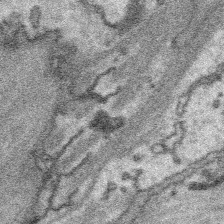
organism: Platynereis dumerilii